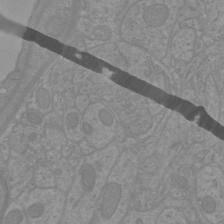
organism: Mouse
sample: Cortical neurons